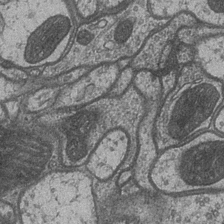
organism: Drosophila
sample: Optic medulla